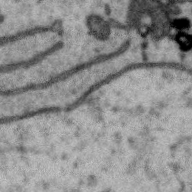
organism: Zebra finch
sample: Brain